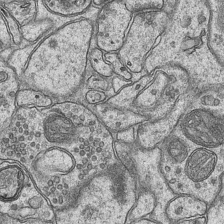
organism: Mouse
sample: CA1 Hippocampus